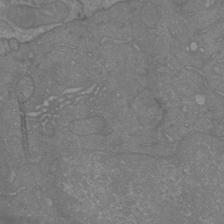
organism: Mouse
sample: Cortical neurons